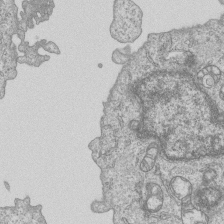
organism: Human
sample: MDA-MB-231 cells